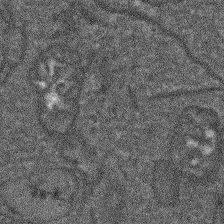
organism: Arabidopsis thaliana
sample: Root tip